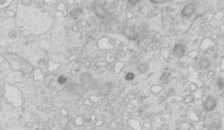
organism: Mouse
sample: Multiciliated cells